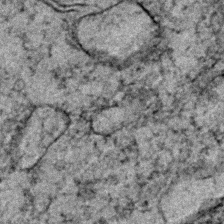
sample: Trachea